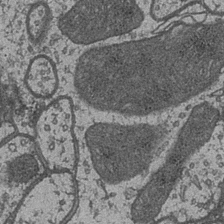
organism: Drosophila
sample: Optic medulla